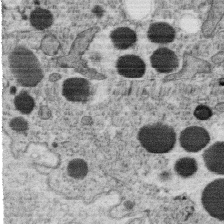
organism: C. elegans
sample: C. elegans oocyte; sperm cells